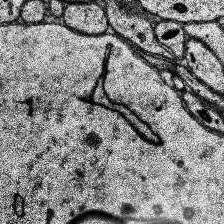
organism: Human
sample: Temporal Lobe